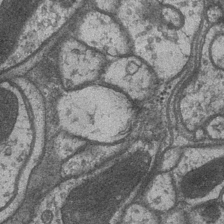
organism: Drosophila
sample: Optic medulla